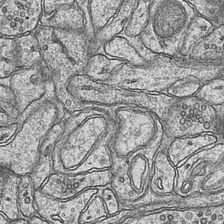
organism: Mouse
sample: CA1 Hippocampus